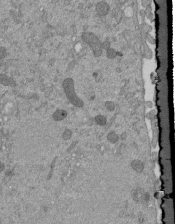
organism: Mouse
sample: ED-1 cell nuclei; centrioles